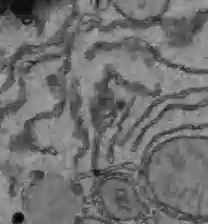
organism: C57BL Mouse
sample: Liver